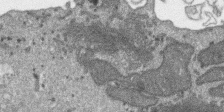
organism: Human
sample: Lung epithelial cells infected with SARS-CoV-2